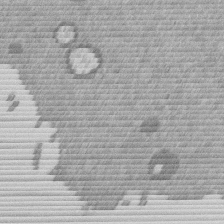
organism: Mouse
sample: Dividing mouse embryo 1 cell stage